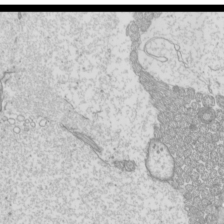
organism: Mouse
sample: Cilia; mouse epididymis